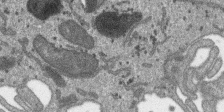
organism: Human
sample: Lung epithelial cells infected with SARS-CoV-2